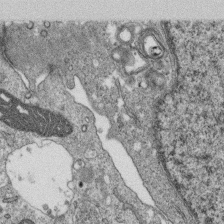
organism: African green monkey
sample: Vero E6 cells infected with SARS-CoV-2